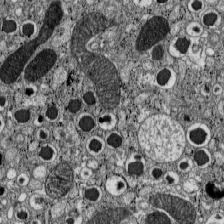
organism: C57BL Mouse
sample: Pancreatic islet